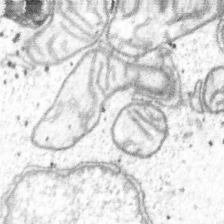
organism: Human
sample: HeLa cells